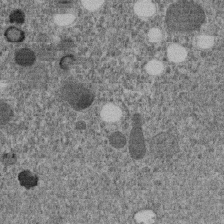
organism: C. elegans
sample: C. elegans embryo early stage